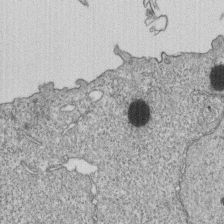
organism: Human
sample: HeLa cell HIV synapse